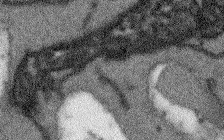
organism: Arabidopsis thaliana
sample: Root tip